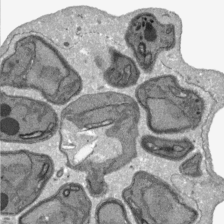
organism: Plasmodium falciparum